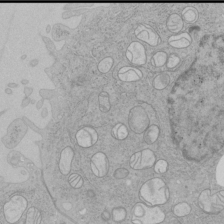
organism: Human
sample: Mitochondria in HCT116 cells